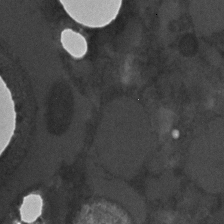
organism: C. elegans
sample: C. elegans embryo